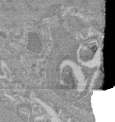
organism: Mouse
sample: Glomerulus